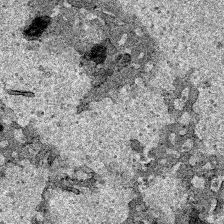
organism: Human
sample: Mitochondria in HCT116 cells